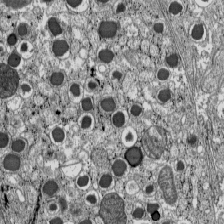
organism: C57BL Mouse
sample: Pancreatic islet